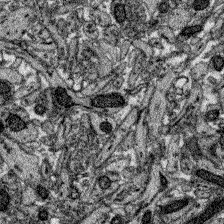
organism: Zebrafish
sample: Larval olfactory bulb